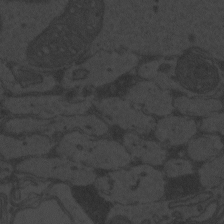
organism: Zebrafish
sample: Macrophage infected with Toxoplasma gondii